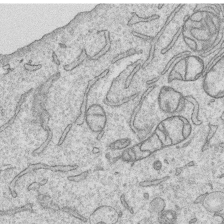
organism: Human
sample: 1205lu cells